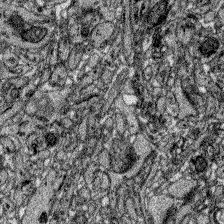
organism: Zebrafish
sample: Larval olfactory bulb